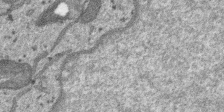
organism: Human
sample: Lung epithelial cells infected with SARS-CoV-2